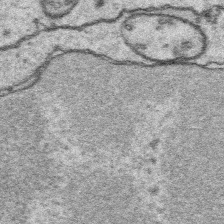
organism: Platynereis dumerilii